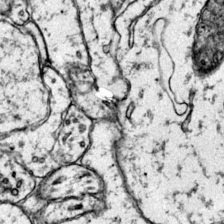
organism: Mouse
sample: Primary visual cortex